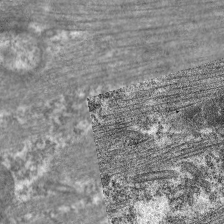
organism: C. elegans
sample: Pharynx